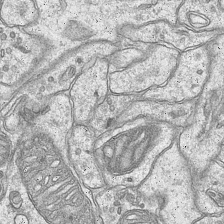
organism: Mouse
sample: CA1 Hippocampus